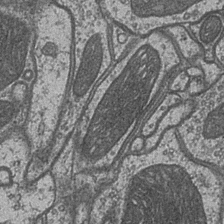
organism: Drosophila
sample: Optic medulla